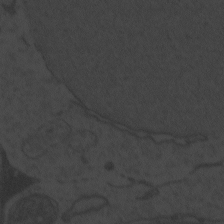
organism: Zebrafish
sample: Macrophage infected with Toxoplasma gondii